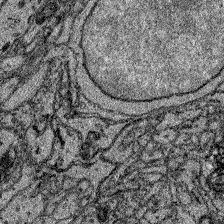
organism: Zebrafish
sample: Larval olfactory bulb